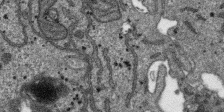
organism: Human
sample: Lung epithelial cells infected with SARS-CoV-2